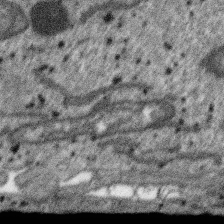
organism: Human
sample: Lung epithelial cells infected with SARS-CoV-2